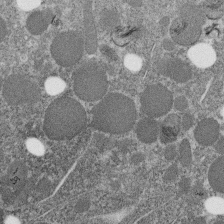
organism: C. elegans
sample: C. elegans embryo early stage